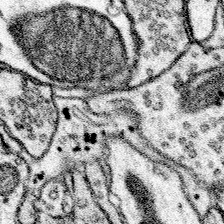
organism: Mouse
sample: Somatosensory cortex neuropil